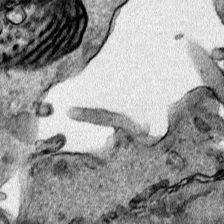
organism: Human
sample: Mitochondria in HCT116 cells